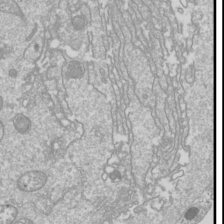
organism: Drosophila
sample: Cell division; meiosis; drosophila spermatocytes